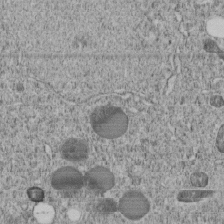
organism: C. elegans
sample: C. elegans embryo early stage